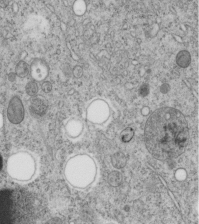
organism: C. elegans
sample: C. elegans embryo early stage